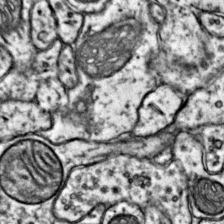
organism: Mouse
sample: Primary visual cortex